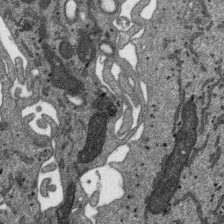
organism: Human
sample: Lung epithelial cells infected with SARS-CoV-2